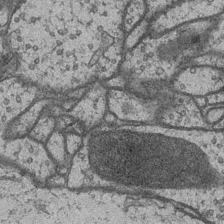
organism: Drosophila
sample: Optic medulla